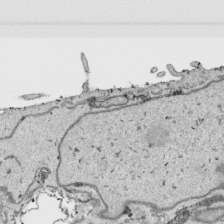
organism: Human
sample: Mitochondria in HCT116 cells